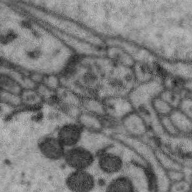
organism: Zebra finch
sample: Brain